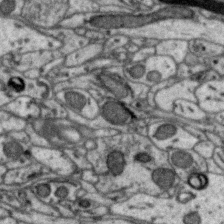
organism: Zebra finch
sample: Brain